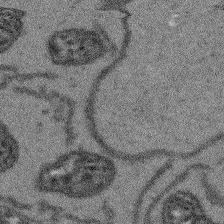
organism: Arabidopsis thaliana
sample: Root tip